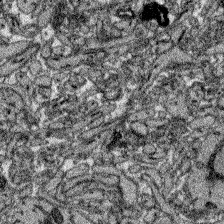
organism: Zebrafish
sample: Larval olfactory bulb